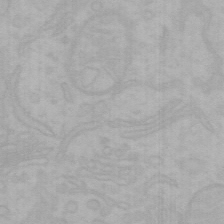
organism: Mouse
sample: Choroid plexus